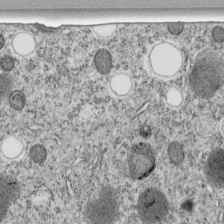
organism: C. elegans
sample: C. elegans embryo early stage